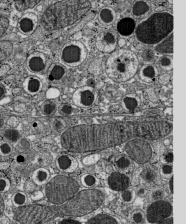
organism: C57BL Mouse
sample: Pancreatic islet